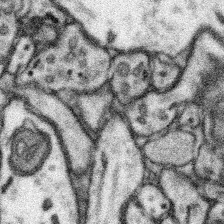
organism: Mouse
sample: Somatosensory cortex neuropil